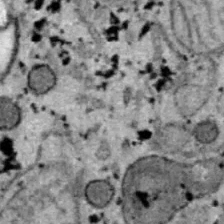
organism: Mouse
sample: Liver from an obese (ob/ob) mouse